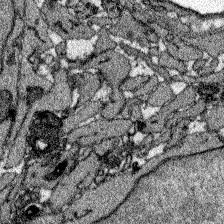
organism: Zebrafish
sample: Larval olfactory bulb